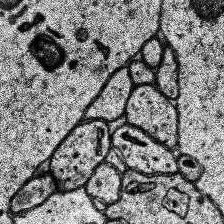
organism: Human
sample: Temporal Lobe